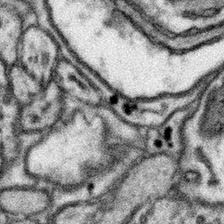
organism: Mouse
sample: Somatosensory cortex neuropil